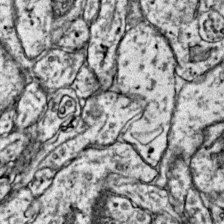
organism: Mouse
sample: Primary visual cortex